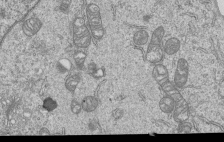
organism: Human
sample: MDA-MB-231 cells